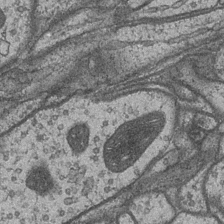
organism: Drosophila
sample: Optic medulla